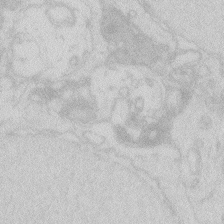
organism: Zebrafish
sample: Macrophage